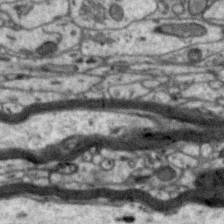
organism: Zebra finch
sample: Brain